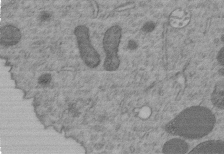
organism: C. elegans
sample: C. elegans embryo early stage